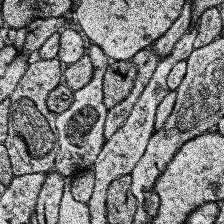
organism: Human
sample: Temporal Lobe